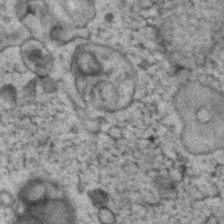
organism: Human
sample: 1205lu cells